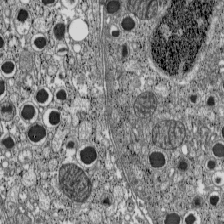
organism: C57BL Mouse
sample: Pancreatic islet